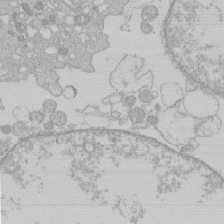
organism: Human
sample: Macrophage cells